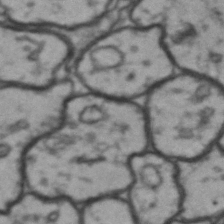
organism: Drosophila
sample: Brain